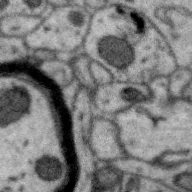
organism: Zebra finch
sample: Brain